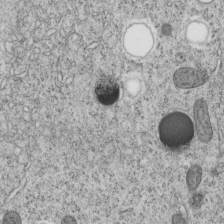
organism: C. elegans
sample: C. elegans embryo early stage